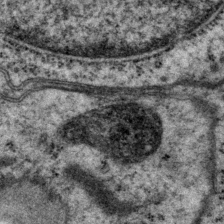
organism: P. pacificus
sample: Pharynx